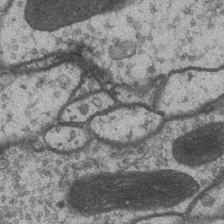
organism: Drosophila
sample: Optic medulla